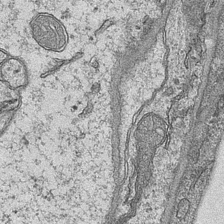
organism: Mouse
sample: CA1 Hippocampus